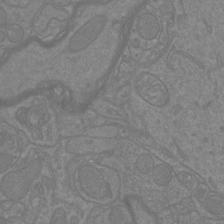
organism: Mouse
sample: Cortical neurons